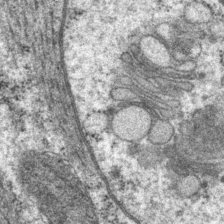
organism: P. pacificus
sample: Pharynx